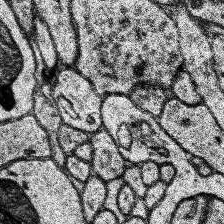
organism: Human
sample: Temporal Lobe